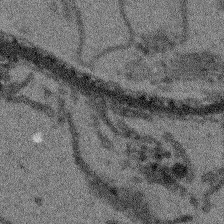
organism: Arabidopsis thaliana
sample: Root tip